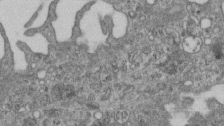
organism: Mouse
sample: Centriole in ependymal cells